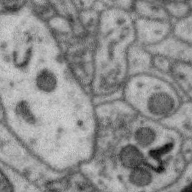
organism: Zebra finch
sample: Brain